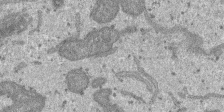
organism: Human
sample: Lung epithelial cells infected with SARS-CoV-2